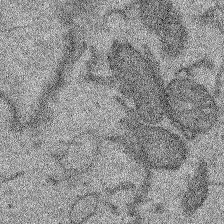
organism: Human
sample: HeLa cells